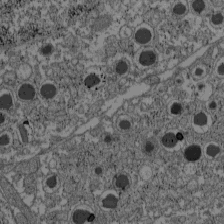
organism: C57BL Mouse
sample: Pancreatic islet